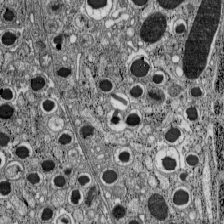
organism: C57BL Mouse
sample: Pancreatic islet